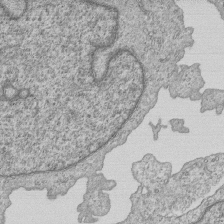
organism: Human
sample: MDA-MB-231 cells